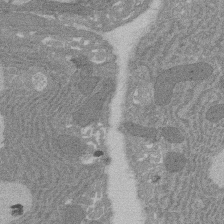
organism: Rat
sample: Salivary granule